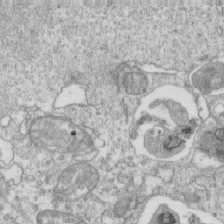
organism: Mouse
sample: Activated OT-1 CD8+ T cells